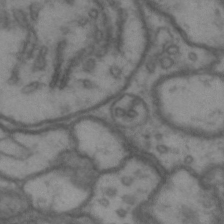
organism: Drosophila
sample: Brain